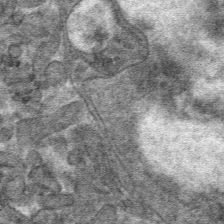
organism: Mouse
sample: Mouse hepatocytes